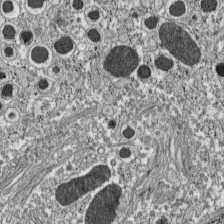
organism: C57BL Mouse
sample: Pancreatic islet